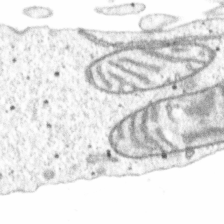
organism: Human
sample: HeLa cells